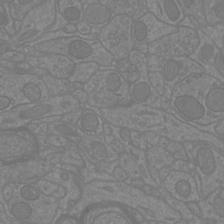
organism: Mouse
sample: Cortical neurons